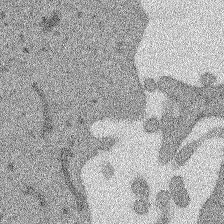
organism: Human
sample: HeLa cells